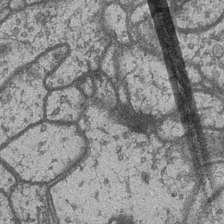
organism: Drosophila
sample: Optic medulla